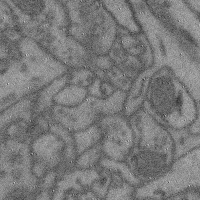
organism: Mouse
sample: Cerebral cortex